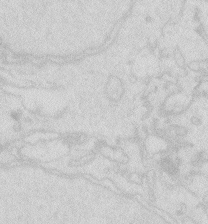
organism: Zebrafish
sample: Macrophage